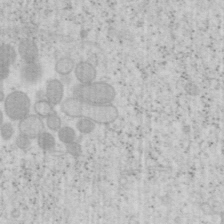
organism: Human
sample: HeLa cells